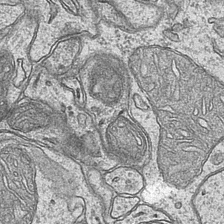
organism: Mouse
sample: CA1 Hippocampus